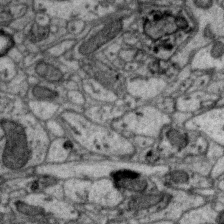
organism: Zebra finch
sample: Brain